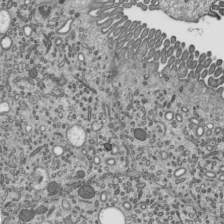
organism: Mouse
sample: Mouse epididymis efferent ductule cilia